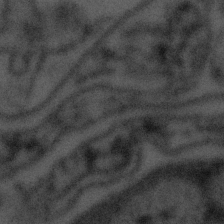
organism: Tuwongella immobilis